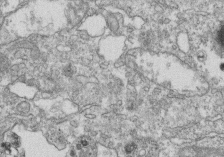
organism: Human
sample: HeLa cell HIV synapse